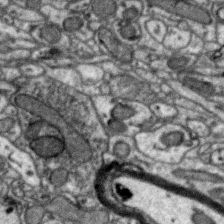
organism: Zebra finch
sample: Brain